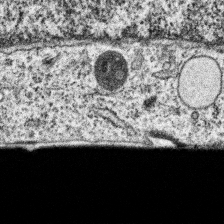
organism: Human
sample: HeLa cells